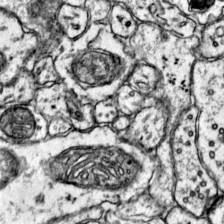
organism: Mouse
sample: Primary visual cortex